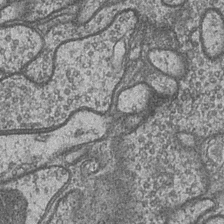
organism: Drosophila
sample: Optic medulla